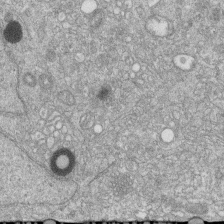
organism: Human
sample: HeLa cell HIV synapse